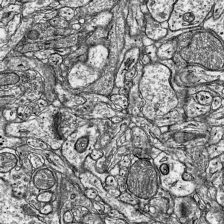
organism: Mouse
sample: Visual Cortex